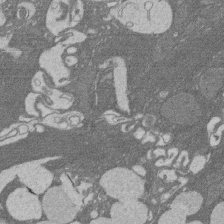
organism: Rat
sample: Salivary granule